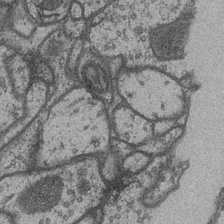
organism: Drosophila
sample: Optic medulla